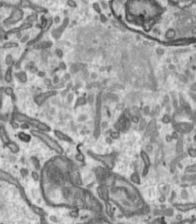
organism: Toxoplasma gondii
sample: Parasites in a vacuole inside a host cell